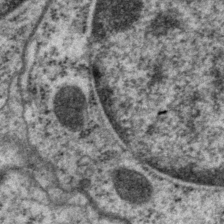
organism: P. pacificus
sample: Pharynx